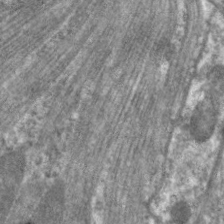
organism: C. elegans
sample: Pharynx